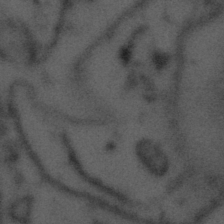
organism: Tuwongella immobilis